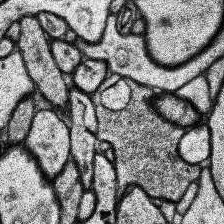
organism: Human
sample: Temporal Lobe